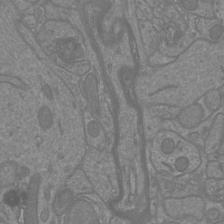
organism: Mouse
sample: Cortical neurons